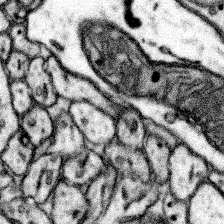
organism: Mouse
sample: Somatosensory cortex neuropil